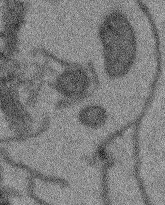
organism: Arabidopsis thaliana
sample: Root tip